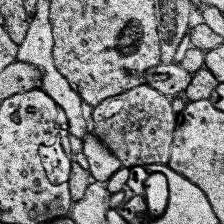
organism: Human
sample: Temporal Lobe